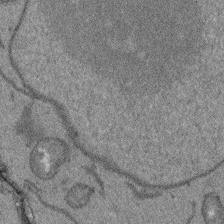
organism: Arabidopsis thaliana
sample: Root tip